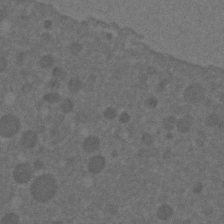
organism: C. elegans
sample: C. elegans embryo